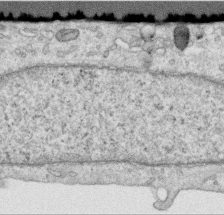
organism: Human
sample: Centriole in RPE cells